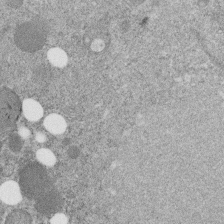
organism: C. elegans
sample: C. elegans embryo early stage